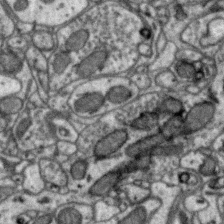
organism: Zebra finch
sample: Brain